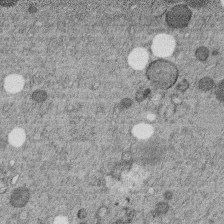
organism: C. elegans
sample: C. elegans embryo early stage